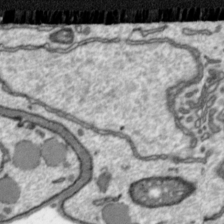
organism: Toxoplasma gondii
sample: Parasites in a vacuole inside a host cell